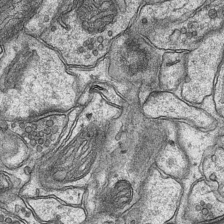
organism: Mouse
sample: CA1 Hippocampus